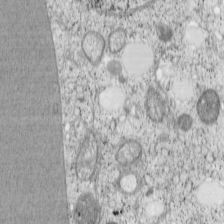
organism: African green monkey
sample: COS-7 cells